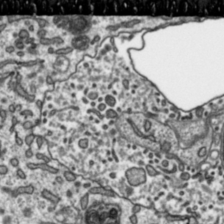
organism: Toxoplasma gondii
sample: Parasites in a vacuole inside a host cell